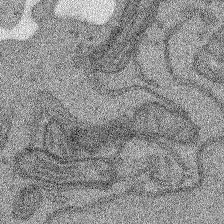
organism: Human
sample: HeLa cells